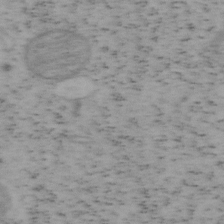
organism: Mouse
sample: OT-I killer T cells with ID8 ovarian cancer cells